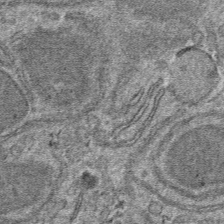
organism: Mouse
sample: Mouse hepatocytes